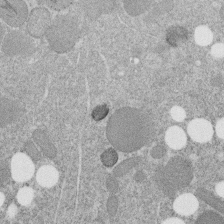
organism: C. elegans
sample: C. elegans embryo early stage